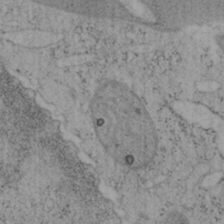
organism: Mouse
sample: OT-I killer T cells with ID8 ovarian cancer cells